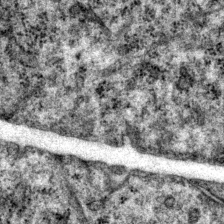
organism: P. pacificus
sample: Pharynx